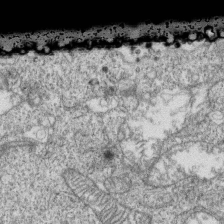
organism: Human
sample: HeLa cell HIV synapse